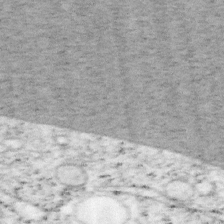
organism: Mouse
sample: OT-I killer T cells with ID8 ovarian cancer cells